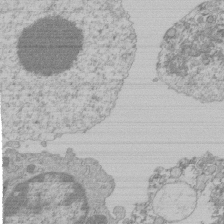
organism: Mouse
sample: Activated Pmel transgenic CD8+ T Cells